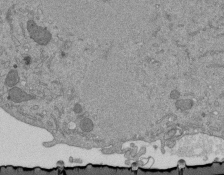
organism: Mouse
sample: ED-1 cell nuclei; centrioles